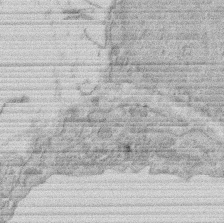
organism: Rat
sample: Salivary granule